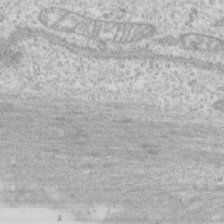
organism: Human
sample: CRL-1474